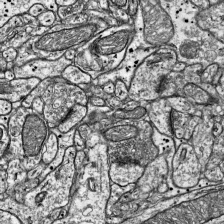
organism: Mouse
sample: Visual Cortex